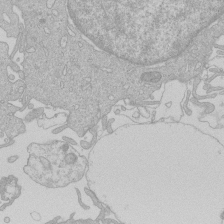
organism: Human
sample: Macrophage cells